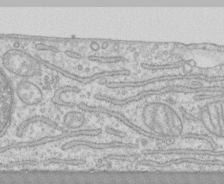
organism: Human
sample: CRL-1474